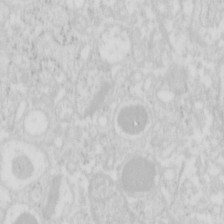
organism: Mouse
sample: Pancreas